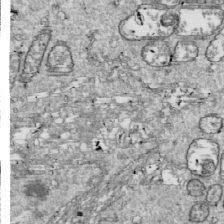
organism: Drosophila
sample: Cell division; meiosis; drosophila spermatocytes